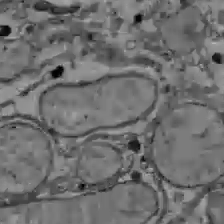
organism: C57BL Mouse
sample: Liver